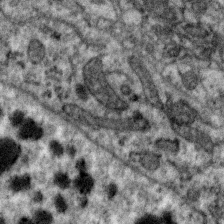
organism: Zebra finch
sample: Brain